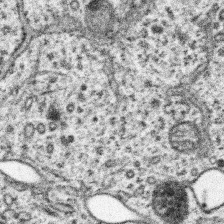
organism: Human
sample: HeLa cells